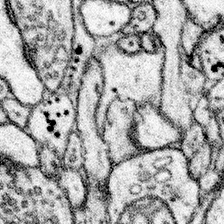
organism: Mouse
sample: Somatosensory cortex neuropil